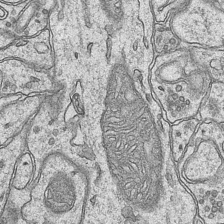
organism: Mouse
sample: CA1 Hippocampus